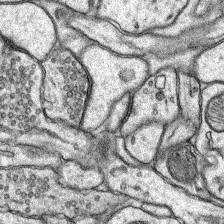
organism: Rat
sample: Hippocampus